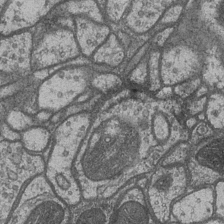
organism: Drosophila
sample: Optic medulla